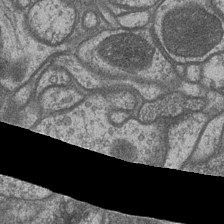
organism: Drosophila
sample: Optic medulla